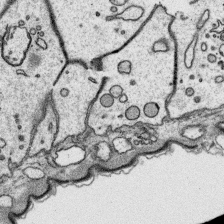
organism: Platynereis dumerilii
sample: Parapodia